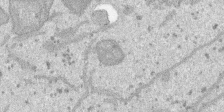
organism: Human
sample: Lung epithelial cells infected with SARS-CoV-2